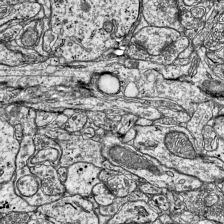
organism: Mouse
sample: Visual Cortex